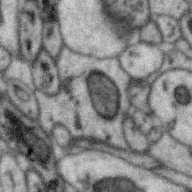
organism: Zebra finch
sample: Brain